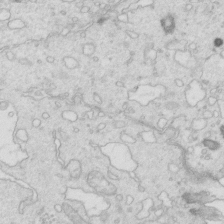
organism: Mouse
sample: Multiciliated cells